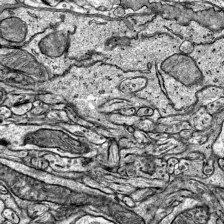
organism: Mouse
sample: Visual Cortex